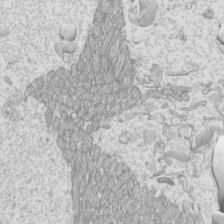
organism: Mouse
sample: Cilia; mouse epididymis